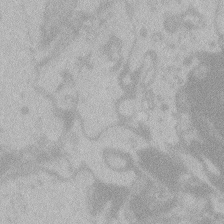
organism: Zebrafish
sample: Macrophage infected with Toxoplasma gondii